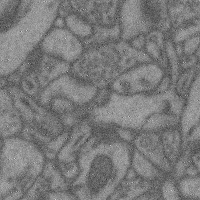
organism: Mouse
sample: Cerebral cortex